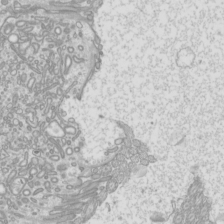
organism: Mouse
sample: Cilia; mouse epididymis